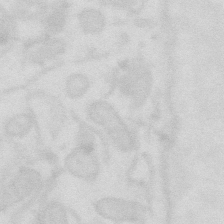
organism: Human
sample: HeLa cells